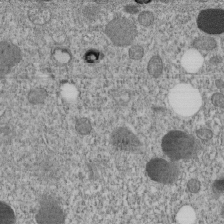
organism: C. elegans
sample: C. elegans embryo early stage